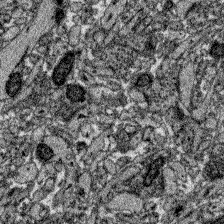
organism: Zebrafish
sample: Larval olfactory bulb